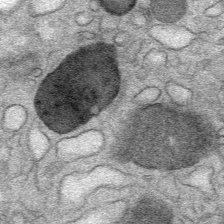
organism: Mouse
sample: Mouse Salivary gland